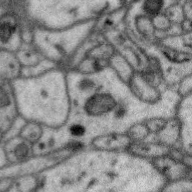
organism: Zebra finch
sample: Brain